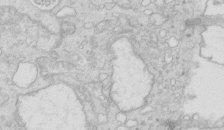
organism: Mouse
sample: Multiciliated cells